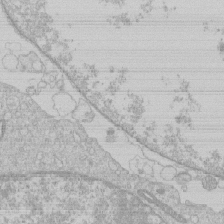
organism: Human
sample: Macrophage cells